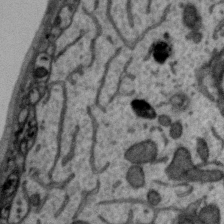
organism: Zebra finch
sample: Brain